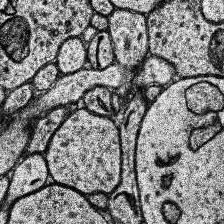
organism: Human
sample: Temporal Lobe